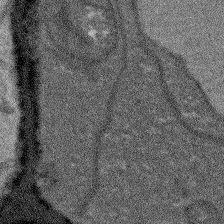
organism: Arabidopsis thaliana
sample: Root tip